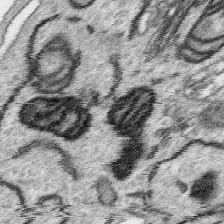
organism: Human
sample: HeLa cells